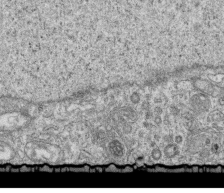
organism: Human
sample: HeLa cell HIV synapse